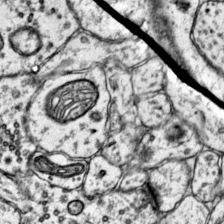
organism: Mouse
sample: Primary visual cortex